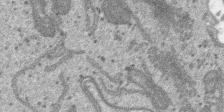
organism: Human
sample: Lung epithelial cells infected with SARS-CoV-2